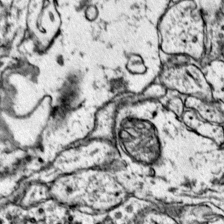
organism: Mouse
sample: Primary visual cortex